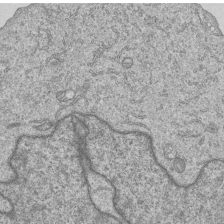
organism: Human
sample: MDA-MB-231 cells